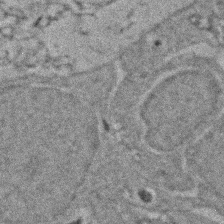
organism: Zebrafish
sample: Zebrafish embryo